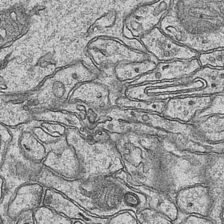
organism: Mouse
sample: CA1 Hippocampus